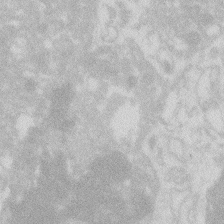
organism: Zebrafish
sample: Macrophage